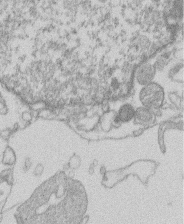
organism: Human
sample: Macrophage cells